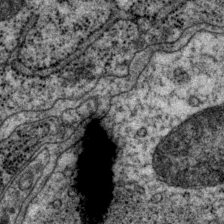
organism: P. pacificus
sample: Pharynx